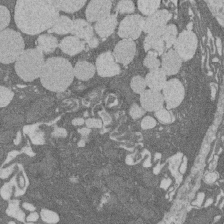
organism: Rat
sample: Salivary granule